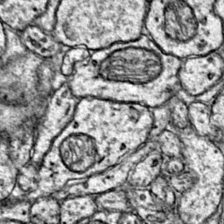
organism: Mouse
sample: Primary visual cortex